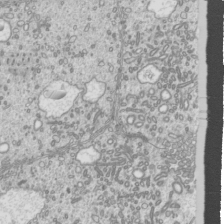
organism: Mouse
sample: Cilia; mouse epididymis